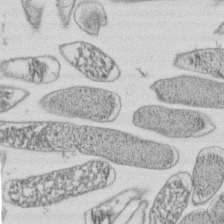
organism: E. coli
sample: Bacterial nucleoid